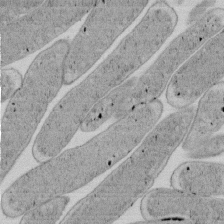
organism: E. coli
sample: Bacterial nucleoid